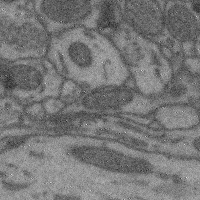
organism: Mouse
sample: Cerebral cortex